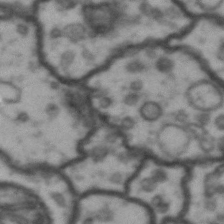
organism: Drosophila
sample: Brain